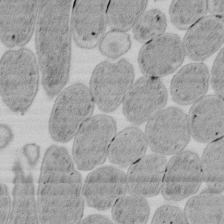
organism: E. coli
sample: Bacterial nucleoid